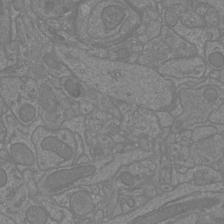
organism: Mouse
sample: Cortical neurons